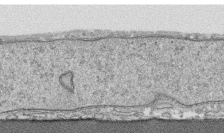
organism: Human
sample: CRL-1474